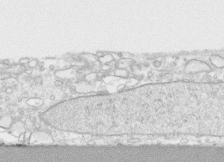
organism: Human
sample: CRL-1474